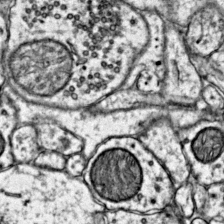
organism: Mouse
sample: Primary visual cortex